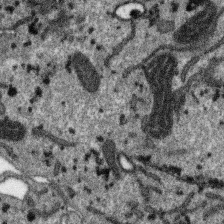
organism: Human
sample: Lung epithelial cells infected with SARS-CoV-2